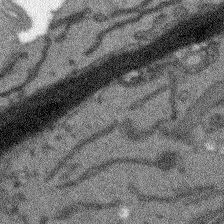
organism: Arabidopsis thaliana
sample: Root tip